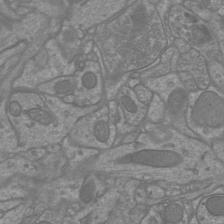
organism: Mouse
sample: Cortical neurons